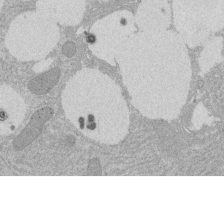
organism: Rat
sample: Salivary granule